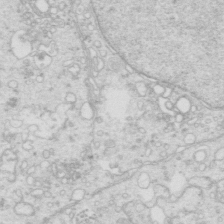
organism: Mouse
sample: Multiciliated cells